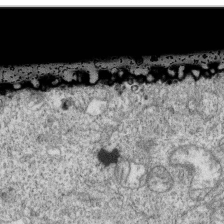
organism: Human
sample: HeLa cell HIV synapse